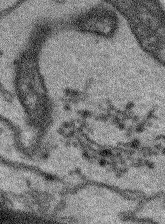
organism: Arabidopsis thaliana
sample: Root tip